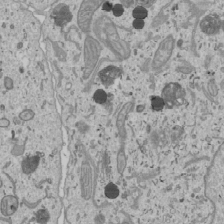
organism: Human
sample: Mitochondria in U2OS cells